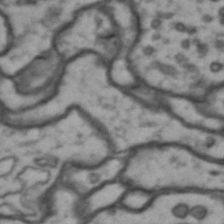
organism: Drosophila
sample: Brain